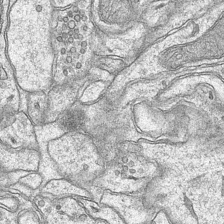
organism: Mouse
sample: CA1 Hippocampus